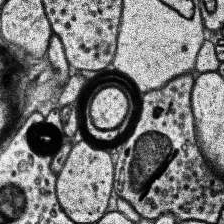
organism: Human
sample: Temporal Lobe